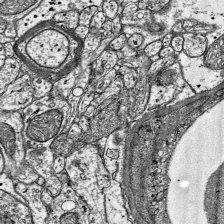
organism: Mouse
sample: Visual Cortex